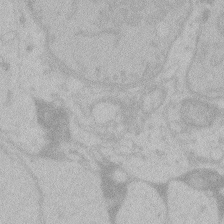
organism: Zebrafish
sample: Macrophage infected with Toxoplasma gondii